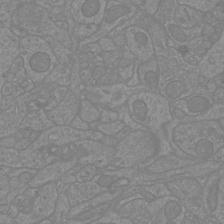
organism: Mouse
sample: Cortical neurons